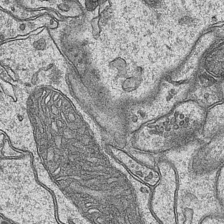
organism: Mouse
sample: CA1 Hippocampus